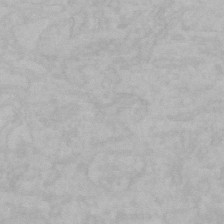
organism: Mouse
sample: Choroid plexus